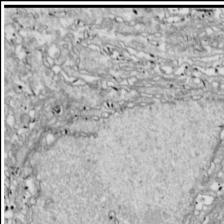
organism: Drosophila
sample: Cell division; meiosis; drosophila spermatocytes